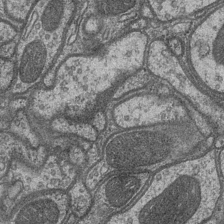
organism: Drosophila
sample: Optic medulla